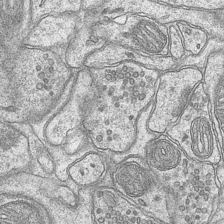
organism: Mouse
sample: CA1 Hippocampus